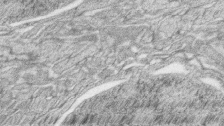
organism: Zebrafish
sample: synaptic ribbons in rod cells and cone cells